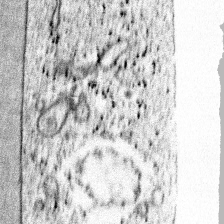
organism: Human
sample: HeLa cells